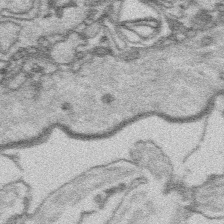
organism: Platynereis dumerilii